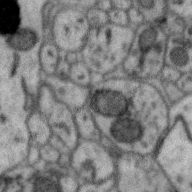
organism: Zebra finch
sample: Brain